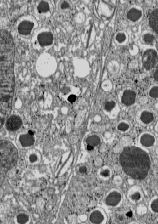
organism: C57BL Mouse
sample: Pancreatic islet